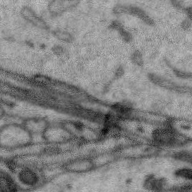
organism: Zebra finch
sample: Brain